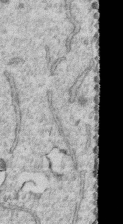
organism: Human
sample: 1205lu cells